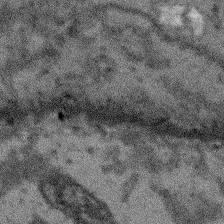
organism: Arabidopsis thaliana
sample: Root tip